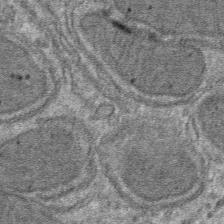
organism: Mouse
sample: Mouse hepatocytes